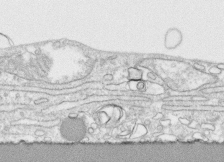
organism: Human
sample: CRL-1474